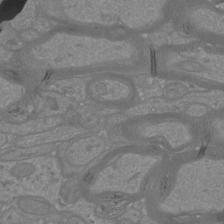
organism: Mouse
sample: Cortical neurons